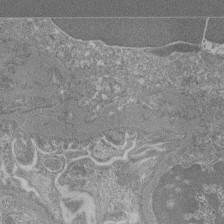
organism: Mouse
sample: Glomerulus